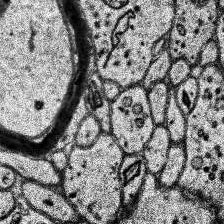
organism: Human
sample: Temporal Lobe